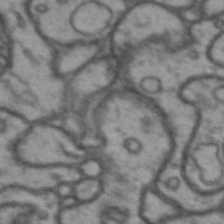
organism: Drosophila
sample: Brain